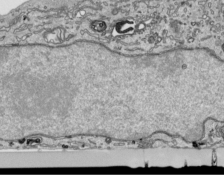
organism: Human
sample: Mitochondria in HCT116 cells